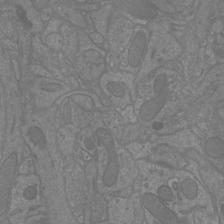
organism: Mouse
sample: Cortical neurons